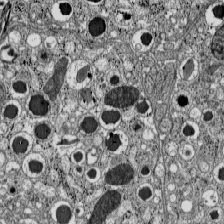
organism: C57BL Mouse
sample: Pancreatic islet